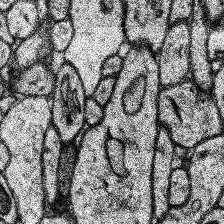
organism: Human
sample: Temporal Lobe